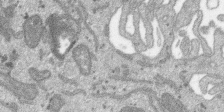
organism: Human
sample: Lung epithelial cells infected with SARS-CoV-2